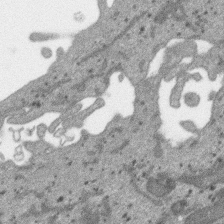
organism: Human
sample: Lung epithelial cells infected with SARS-CoV-2